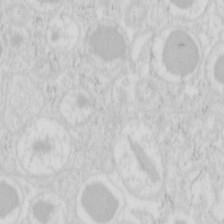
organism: Mouse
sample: Pancreas